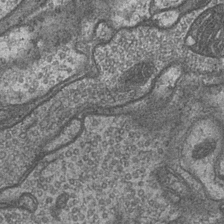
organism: Drosophila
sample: Optic medulla